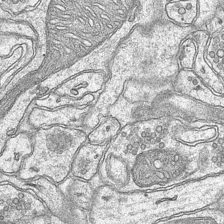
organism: Mouse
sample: CA1 Hippocampus